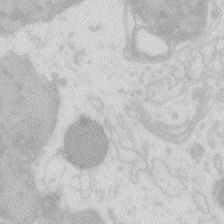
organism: Zebrafish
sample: Macrophage